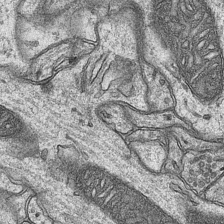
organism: Mouse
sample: CA1 Hippocampus